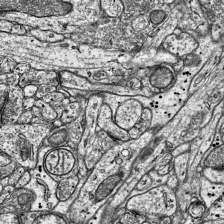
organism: Mouse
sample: Visual Cortex